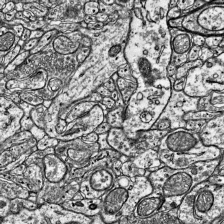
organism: Mouse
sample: Visual Cortex